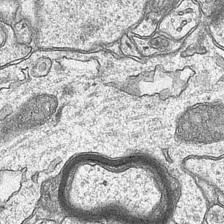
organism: Mouse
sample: CA1 Hippocampus